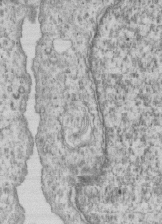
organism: Human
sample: MDA-MB-231 cells